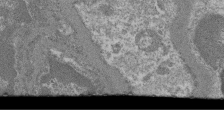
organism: Mouse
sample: Glomerulus